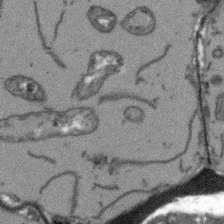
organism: Arabidopsis thaliana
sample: Root tip